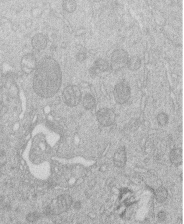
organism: Human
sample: Macrophage cells